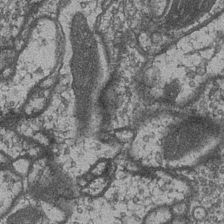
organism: Drosophila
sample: Optic medulla